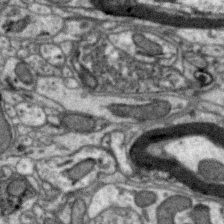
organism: Zebra finch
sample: Brain